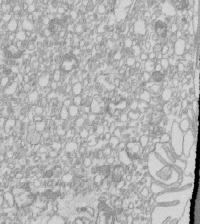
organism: Mouse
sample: Macrophages